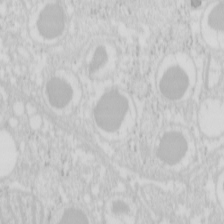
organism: Mouse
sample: Pancreas